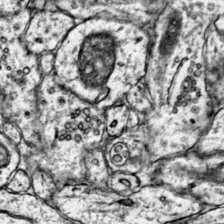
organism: Mouse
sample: Primary visual cortex